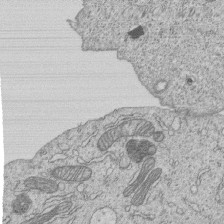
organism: Human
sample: MDA-MB-231 cells